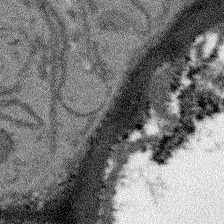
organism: Arabidopsis thaliana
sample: Root tip